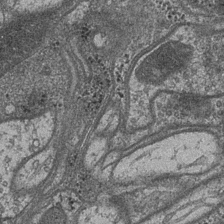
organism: Drosophila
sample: Optic medulla